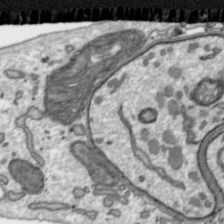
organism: Toxoplasma gondii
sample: Parasites in a vacuole inside a host cell